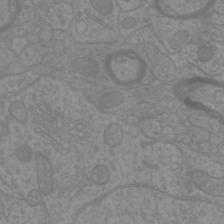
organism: Mouse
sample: Cortical neurons